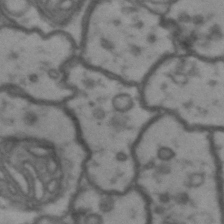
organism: Drosophila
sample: Brain